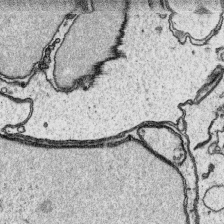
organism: Platynereis dumerilii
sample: Parapodia